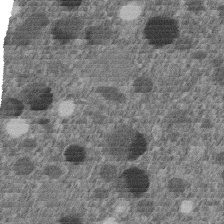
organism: C. elegans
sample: C. elegans embryo early stage